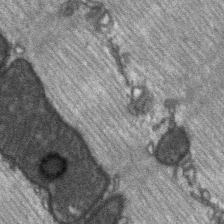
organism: C57BL Mouse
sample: Soleus